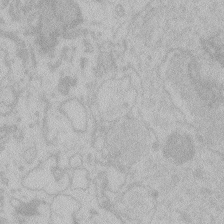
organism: Zebrafish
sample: Macrophage infected with Toxoplasma gondii